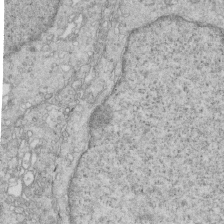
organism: Mouse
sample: Multiciliated cells